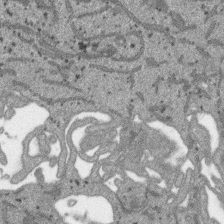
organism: Human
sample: Lung epithelial cells infected with SARS-CoV-2